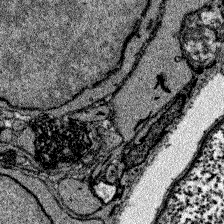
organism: Zebrafish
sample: Larval olfactory bulb